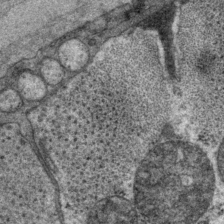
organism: P. pacificus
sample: Pharynx